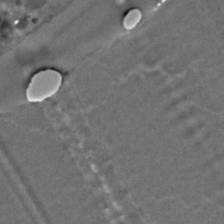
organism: C. elegans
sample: C. elegans embryo